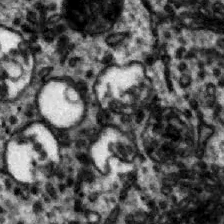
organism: Human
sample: HeLa cells